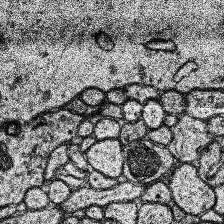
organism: Human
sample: Temporal Lobe